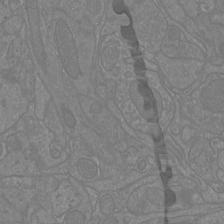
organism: Mouse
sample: Cortical neurons